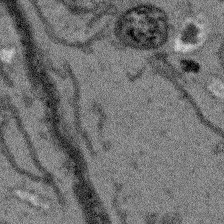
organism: Arabidopsis thaliana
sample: Root tip